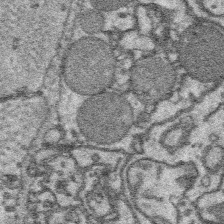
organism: Platynereis dumerilii